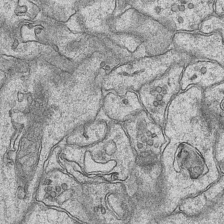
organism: Mouse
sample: CA1 Hippocampus